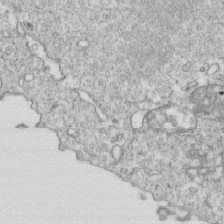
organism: Mouse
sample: Activated OT-1 CD8+ T cells